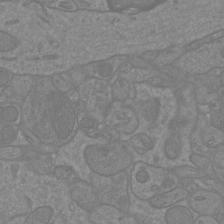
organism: Mouse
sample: Cortical neurons